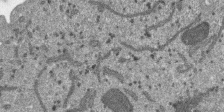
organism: Human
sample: Lung epithelial cells infected with SARS-CoV-2